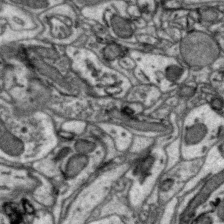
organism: Zebra finch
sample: Brain